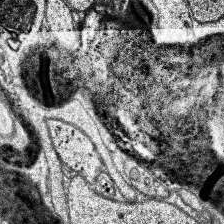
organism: Human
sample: Temporal Lobe